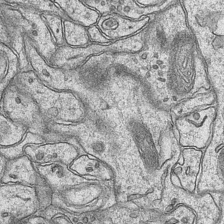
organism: Mouse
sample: CA1 Hippocampus